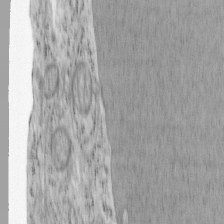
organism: Human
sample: HeLa cells